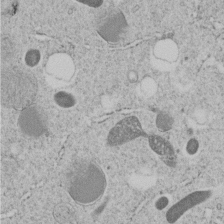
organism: C. elegans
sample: C. elegans embryo early stage